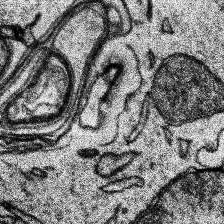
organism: Human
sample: Temporal Lobe